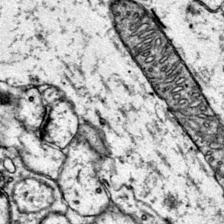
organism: Mouse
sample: Primary visual cortex